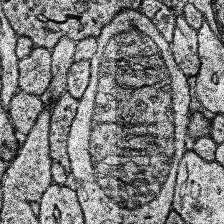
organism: Human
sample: Temporal Lobe